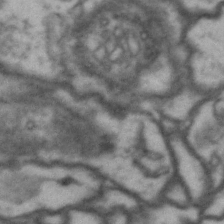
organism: Drosophila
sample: Brain